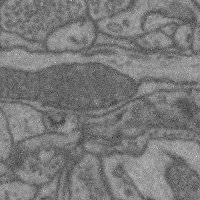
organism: Mouse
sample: Cerebral cortex